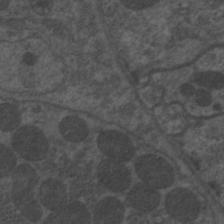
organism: C. elegans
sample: Pharynx